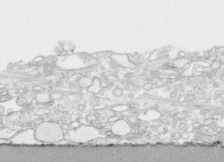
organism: Human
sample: CRL-1474